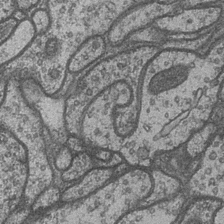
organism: Drosophila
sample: Optic medulla